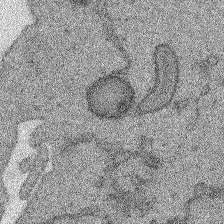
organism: Human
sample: HeLa cells